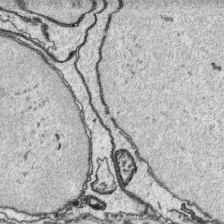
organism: Platynereis dumerilii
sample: Parapodia